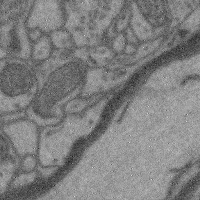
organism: Mouse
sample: Cerebral cortex